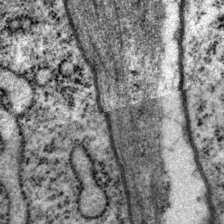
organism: P. pacificus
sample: Pharynx